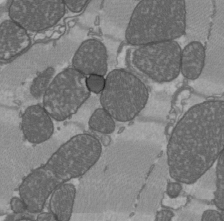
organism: C57BL Mouse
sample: Heart